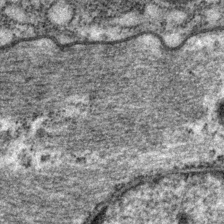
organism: P. pacificus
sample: Pharynx